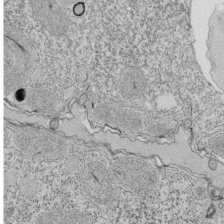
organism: Tetrahymena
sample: Cilia in tetrahymena